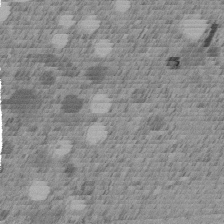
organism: C. elegans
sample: C. elegans embryo early stage